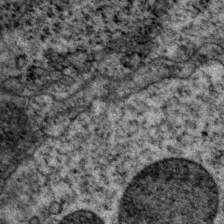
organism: P. pacificus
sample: Pharynx